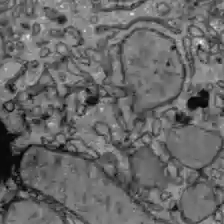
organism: C57BL Mouse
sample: Liver